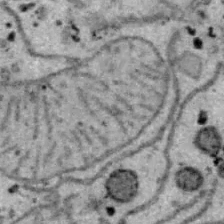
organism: Mouse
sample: Liver from an obese (ob/ob) mouse